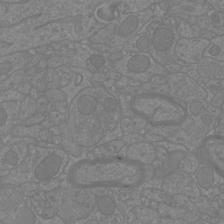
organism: Mouse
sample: Cortical neurons